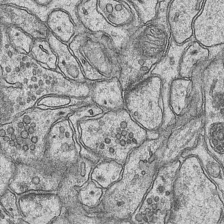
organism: Mouse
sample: CA1 Hippocampus